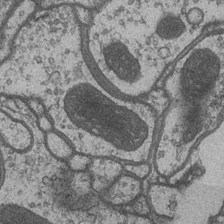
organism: Drosophila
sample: Optic medulla